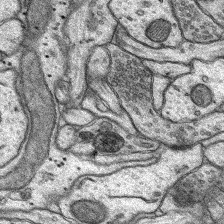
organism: Rat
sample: Hippocampus